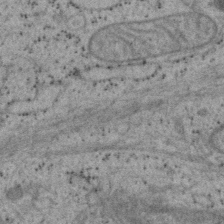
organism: Human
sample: HeLa cells